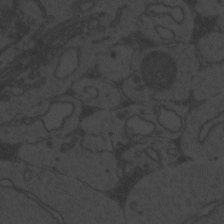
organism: Zebrafish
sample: Macrophage infected with Toxoplasma gondii